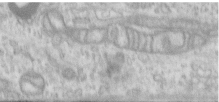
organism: Human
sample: Centriole in RPE cells